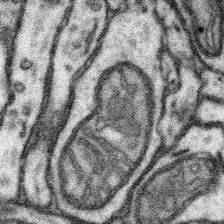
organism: Mouse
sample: Somatosensory cortex neuropil